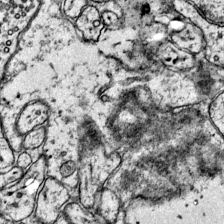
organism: Mouse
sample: Primary visual cortex